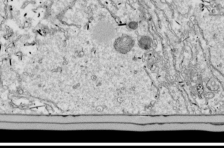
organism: Drosophila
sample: Cell division; meiosis; drosophila spermatocytes